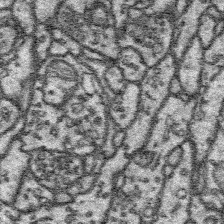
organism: Platynereis dumerilii